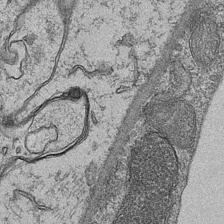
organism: Mouse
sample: CA1 Hippocampus